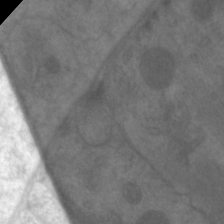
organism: C. elegans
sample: Pharynx